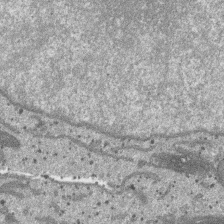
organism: Human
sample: Lung epithelial cells infected with SARS-CoV-2